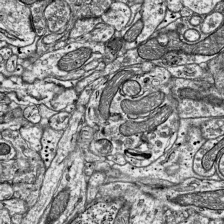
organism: Mouse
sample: Visual Cortex